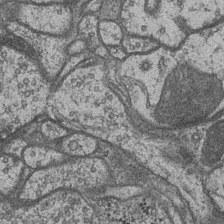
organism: Drosophila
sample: Optic medulla